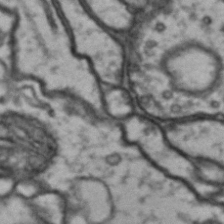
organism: Drosophila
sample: Brain